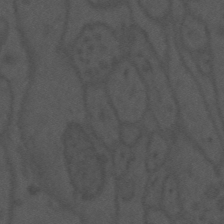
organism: Mouse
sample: Suprachiasmatic nucleus